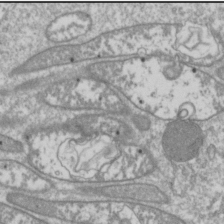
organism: Drosophila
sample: Cell division; meiosis; drosophila spermatocytes